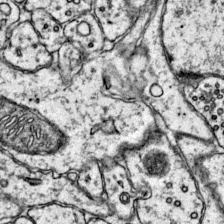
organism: Mouse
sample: Primary visual cortex